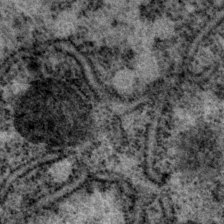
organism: P. pacificus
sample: Pharynx